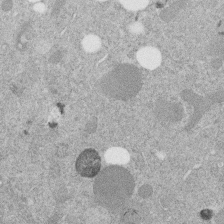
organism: C. elegans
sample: C. elegans embryo early stage